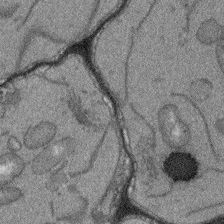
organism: Arabidopsis thaliana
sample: Root tip